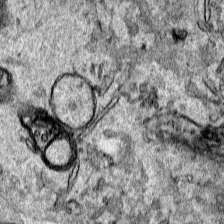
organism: Human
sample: Mitochondria in HCT116 cells